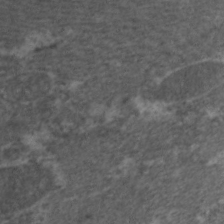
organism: C. elegans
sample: Pharynx